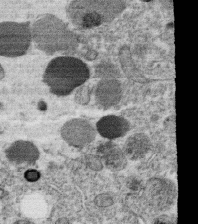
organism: C. elegans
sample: C. elegans oocyte; sperm cells